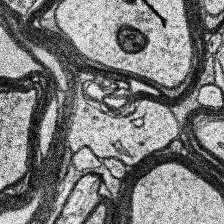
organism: Human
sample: Temporal Lobe